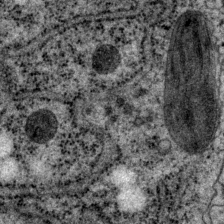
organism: P. pacificus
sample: Pharynx